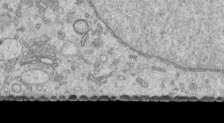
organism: Human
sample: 1205lu cells